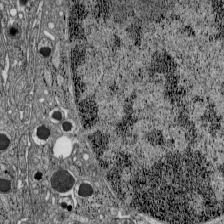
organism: C57BL Mouse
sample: Pancreatic islet